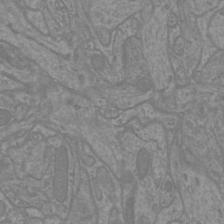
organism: Mouse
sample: Cortical neurons